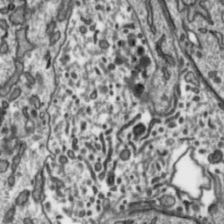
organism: Toxoplasma gondii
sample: Parasites in a vacuole inside a host cell